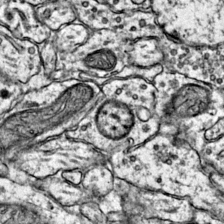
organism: Mouse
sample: Primary visual cortex